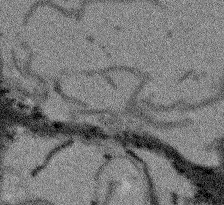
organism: Arabidopsis thaliana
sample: Root tip